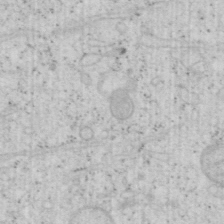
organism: Human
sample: HeLa cells